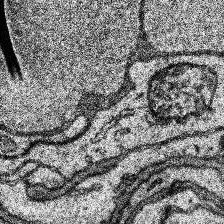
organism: Human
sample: Temporal Lobe